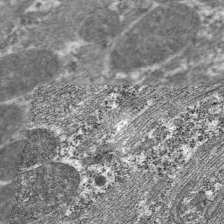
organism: C. elegans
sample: Pharynx